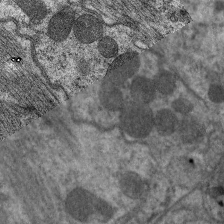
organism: C. elegans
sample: Pharynx